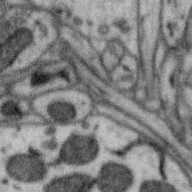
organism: Zebra finch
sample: Brain